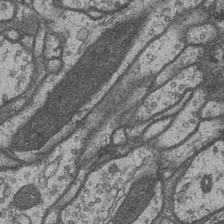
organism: Drosophila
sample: Optic medulla